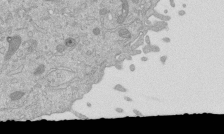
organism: Mouse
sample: ED-1 cell nuclei; centrioles